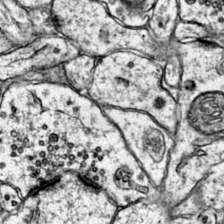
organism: Mouse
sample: Primary visual cortex